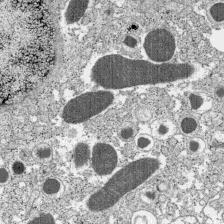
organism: C57BL Mouse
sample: Pancreatic islet